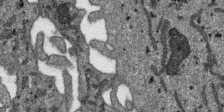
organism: Human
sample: Lung epithelial cells infected with SARS-CoV-2